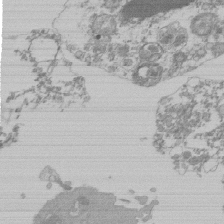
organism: Mouse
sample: Activated Pmel transgenic CD8+ T Cells